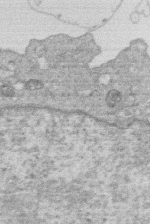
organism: Human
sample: Macrophage cells